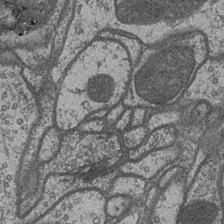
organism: Drosophila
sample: Optic medulla